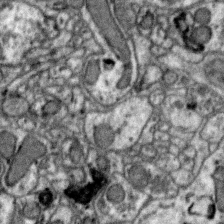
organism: Zebra finch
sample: Brain